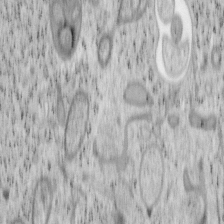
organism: Human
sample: HeLa cells